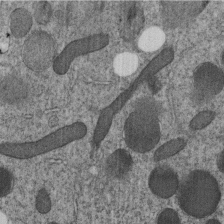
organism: C. elegans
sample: C. elegans embryo early stage